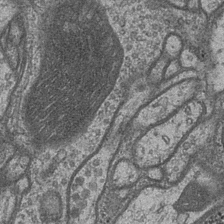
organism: Drosophila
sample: Optic medulla